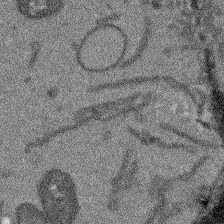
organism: Arabidopsis thaliana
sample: Root tip